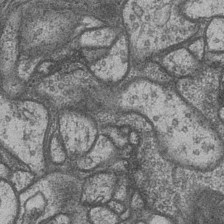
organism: Drosophila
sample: Optic medulla